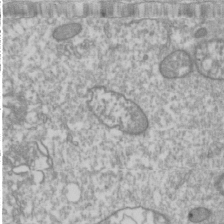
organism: Drosophila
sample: Cell division; meiosis; drosophila spermatocytes